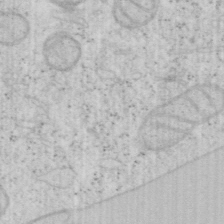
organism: Human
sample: HeLa cells